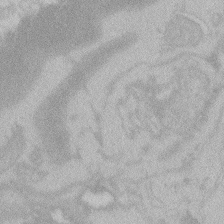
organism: Zebrafish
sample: Macrophage infected with Toxoplasma gondii